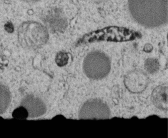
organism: C. elegans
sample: C. elegans embryo early stage